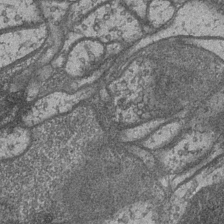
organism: Drosophila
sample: Optic medulla